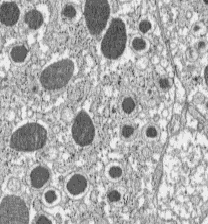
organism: C57BL Mouse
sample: Pancreatic islet